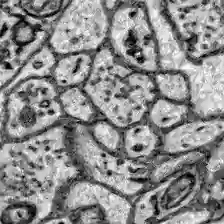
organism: Zebrafish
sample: Brain